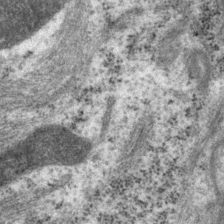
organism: P. pacificus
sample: Pharynx